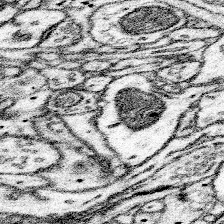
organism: Mouse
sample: Somatosensory cortex neuropil